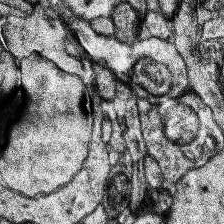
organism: Human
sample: Temporal Lobe